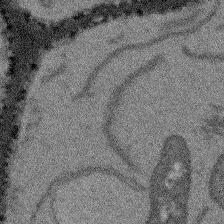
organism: Arabidopsis thaliana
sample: Root tip